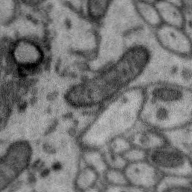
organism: Zebra finch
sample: Brain